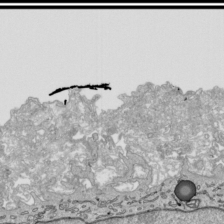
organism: Human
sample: Mitochondria in HCT116 cells